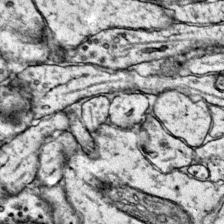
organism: Mouse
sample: Primary visual cortex